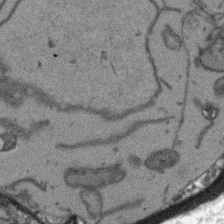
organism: Arabidopsis thaliana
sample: Root tip